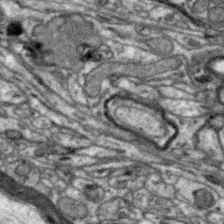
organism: Zebra finch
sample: Brain